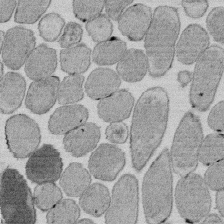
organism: E. coli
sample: Bacterial nucleoid